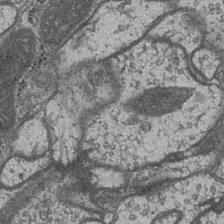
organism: Drosophila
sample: Optic medulla